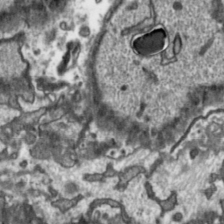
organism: Toxoplasma gondii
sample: Parasites in a vacuole inside a host cell